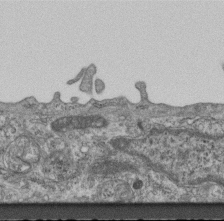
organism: Mouse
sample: Centriole in ependymal cells